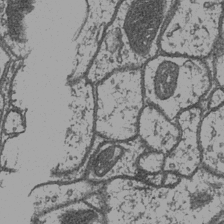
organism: Drosophila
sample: Optic medulla